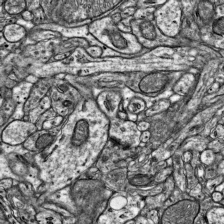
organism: Mouse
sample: Visual Cortex